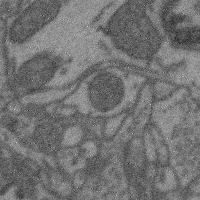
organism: Mouse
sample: Cerebral cortex